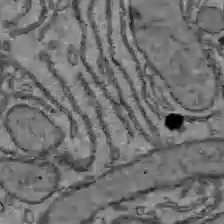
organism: C57BL Mouse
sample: Liver